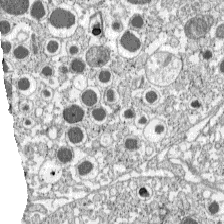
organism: C57BL Mouse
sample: Pancreatic islet